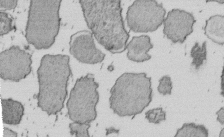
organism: E. coli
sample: Bacterial nucleoid